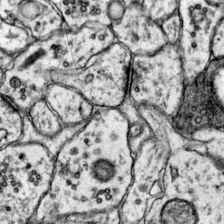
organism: Mouse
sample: Primary visual cortex